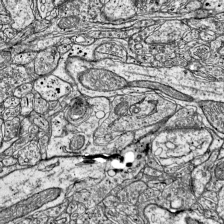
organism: Mouse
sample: Visual Cortex